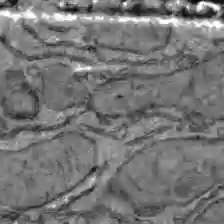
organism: C57BL Mouse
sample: Liver